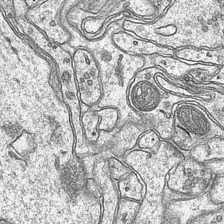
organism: Mouse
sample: CA1 Hippocampus